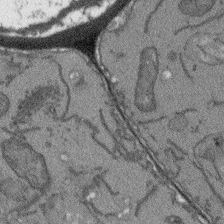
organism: Arabidopsis thaliana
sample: Root tip